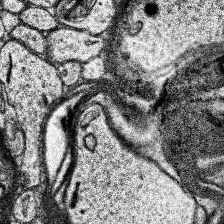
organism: Human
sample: Temporal Lobe